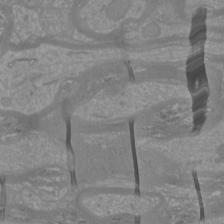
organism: Mouse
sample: Cortical neurons